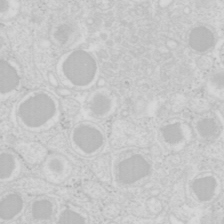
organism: Mouse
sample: Pancreas